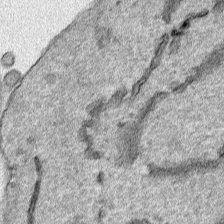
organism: Human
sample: Mitochondria in HCT116 cells